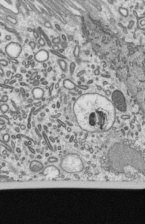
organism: Mouse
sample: Mouse epididymis efferent ductule cilia